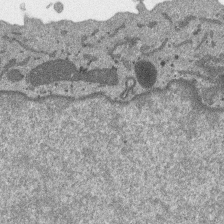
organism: Human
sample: Lung epithelial cells infected with SARS-CoV-2